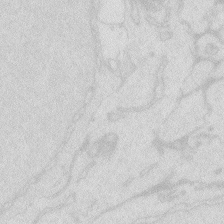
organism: Zebrafish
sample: Macrophage